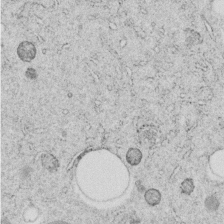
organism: C. elegans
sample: C. elegans embryo early stage